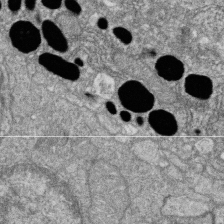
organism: Zebrafish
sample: Cilia; retinal pigment epithelium